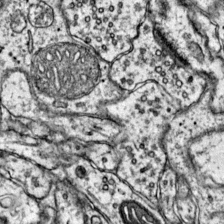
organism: Mouse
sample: Primary visual cortex